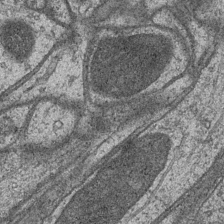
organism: Drosophila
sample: Optic medulla